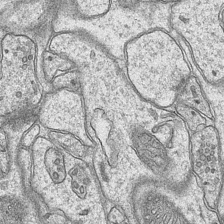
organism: Mouse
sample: CA1 Hippocampus